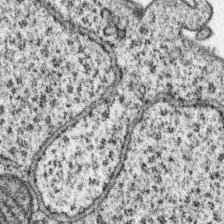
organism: Human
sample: HeLa cells